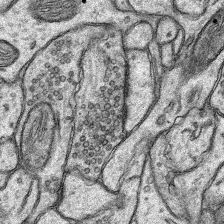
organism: Rat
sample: Hippocampus